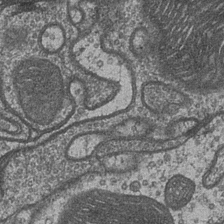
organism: Drosophila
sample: Optic medulla